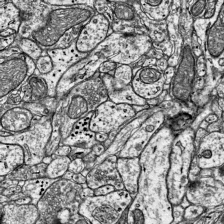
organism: Mouse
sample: Visual Cortex